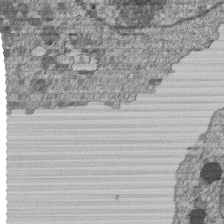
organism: Human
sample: MDA-MB-231 cells